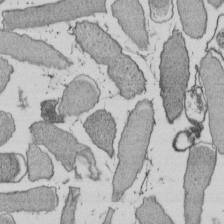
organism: E. coli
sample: Bacterial nucleoid